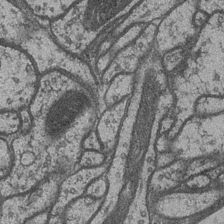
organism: Drosophila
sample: Optic medulla